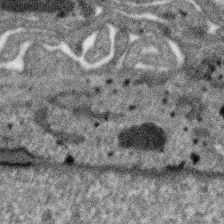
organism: Human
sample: Lung epithelial cells infected with SARS-CoV-2